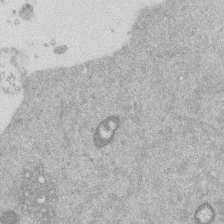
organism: Mouse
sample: Dividing mouse embryo 1 cell stage